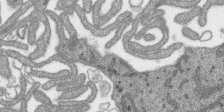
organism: Human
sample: Lung epithelial cells infected with SARS-CoV-2